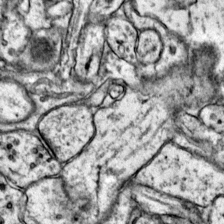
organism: Mouse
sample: Primary visual cortex